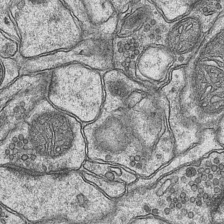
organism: Mouse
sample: CA1 Hippocampus